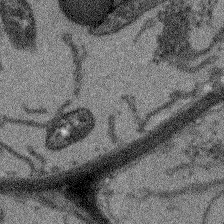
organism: Arabidopsis thaliana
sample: Root tip